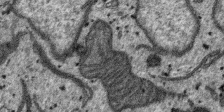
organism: Human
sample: Lung epithelial cells, uninfected (mock) control